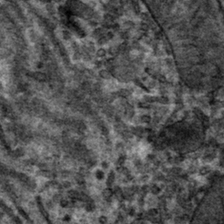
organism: Mouse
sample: Mouse hepatocytes